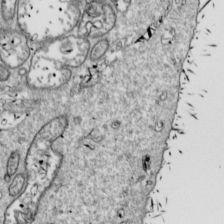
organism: Drosophila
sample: Cell division; meiosis; drosophila spermatocytes